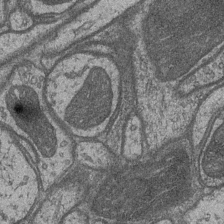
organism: Drosophila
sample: Optic medulla